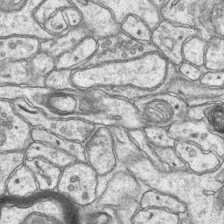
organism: Mouse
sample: CA1 Hippocampus